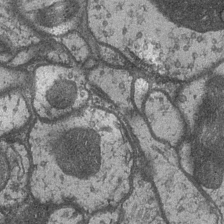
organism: Drosophila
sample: Optic medulla